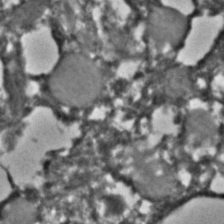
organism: C. elegans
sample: C. elegans embryo